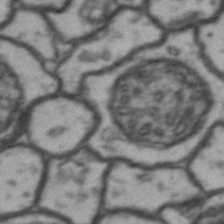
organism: Drosophila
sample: Brain